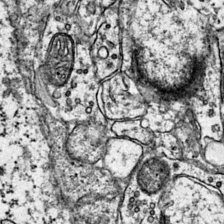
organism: Mouse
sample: Primary visual cortex